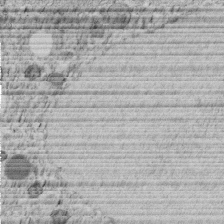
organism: C. elegans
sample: C. elegans embryo early stage